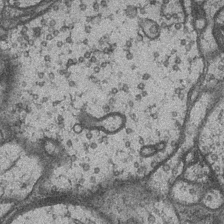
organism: Drosophila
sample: Optic medulla